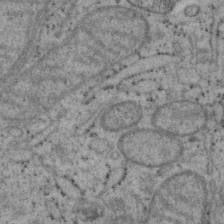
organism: Human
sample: HeLa cells